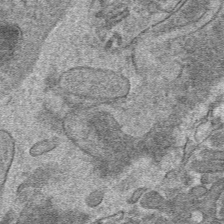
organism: Mouse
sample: Mouse hepatocytes